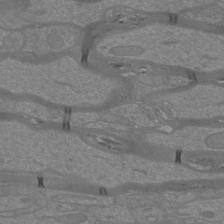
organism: Mouse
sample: Cortical neurons